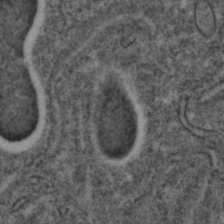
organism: C. elegans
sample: C. elegans embryo